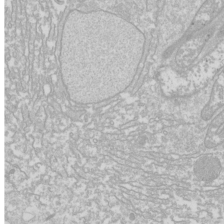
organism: Drosophila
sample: Cell division; meiosis; drosophila spermatocytes